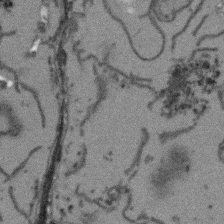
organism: Arabidopsis thaliana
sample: Root tip